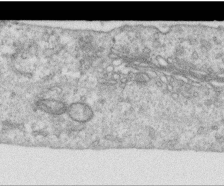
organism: Human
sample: Centriole in RPE cells